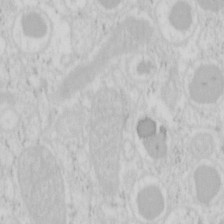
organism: Mouse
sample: Pancreas